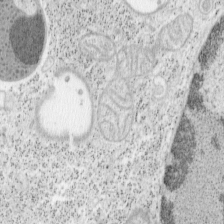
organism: Mouse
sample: OT-I killer T cells with ID8 ovarian cancer cells